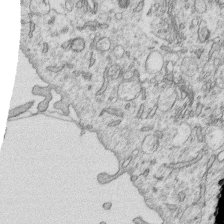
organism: Human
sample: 1205lu cells